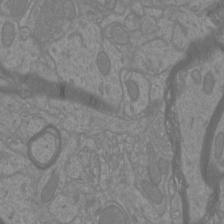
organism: Mouse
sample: Cortical neurons